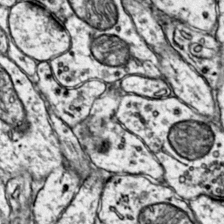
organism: Mouse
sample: Primary visual cortex